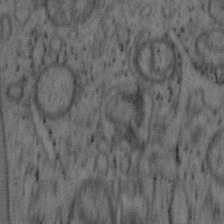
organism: Human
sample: HeLa cells